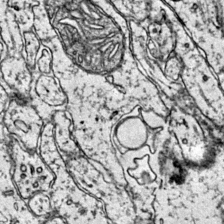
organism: Mouse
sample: Primary visual cortex